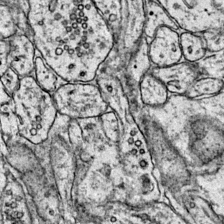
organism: Mouse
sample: Primary visual cortex